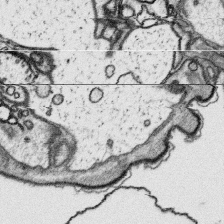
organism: Platynereis dumerilii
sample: Parapodia